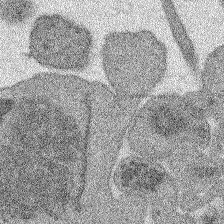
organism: Human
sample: HeLa cells